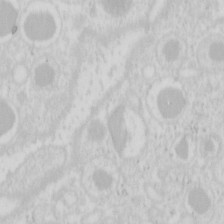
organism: Mouse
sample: Pancreas